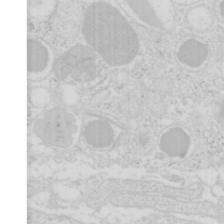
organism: Mouse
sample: Pancreas